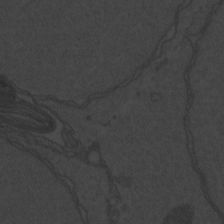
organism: Zebrafish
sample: Macrophage infected with Toxoplasma gondii